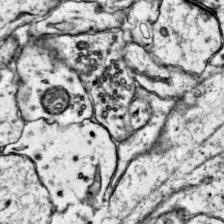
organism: Mouse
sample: Primary visual cortex